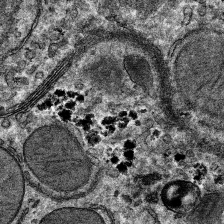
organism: Mouse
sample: Mouse hepatocytes